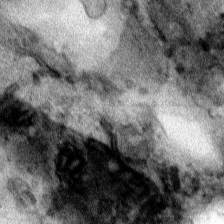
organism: Human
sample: Mitochondria in HCT116 cells